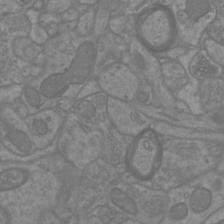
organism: Mouse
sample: Cortical neurons